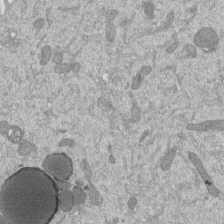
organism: Mouse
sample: ED-1 cell nuclei; centrioles